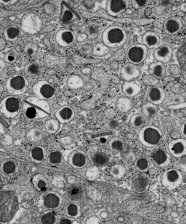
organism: C57BL Mouse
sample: Pancreatic islet